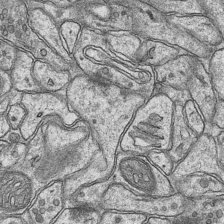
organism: Mouse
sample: CA1 Hippocampus